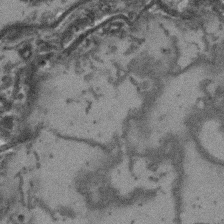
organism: Arabidopsis thaliana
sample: Root tip